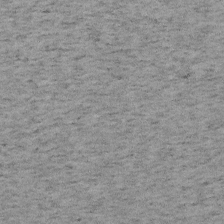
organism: Mouse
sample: OT-I killer T cells with ID8 ovarian cancer cells